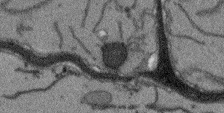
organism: Arabidopsis thaliana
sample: Root tip